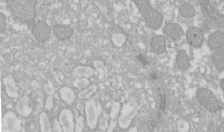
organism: Xenopus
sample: Cilia; centrioles in frog embryo cells